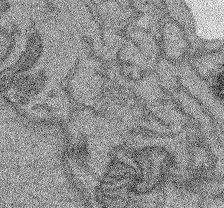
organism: Human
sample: HeLa cells